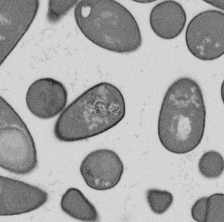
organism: B. subtilis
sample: Bacterial spore